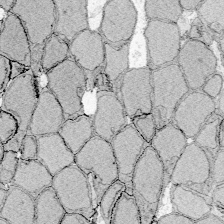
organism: Zebrafish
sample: Whole-Brain